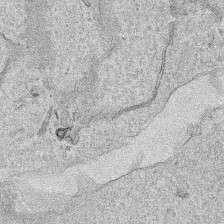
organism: Human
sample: Mitochondria in HCT116 cells